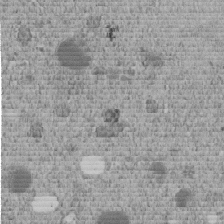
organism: C. elegans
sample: C. elegans embryo early stage